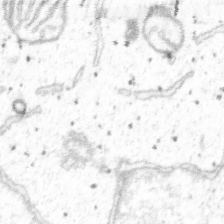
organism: Human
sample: HeLa cells